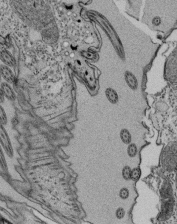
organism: Tetrahymena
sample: Cilia in tetrahymena